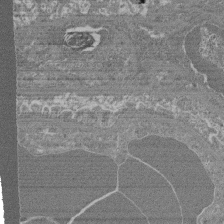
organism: Mouse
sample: Glomerulus